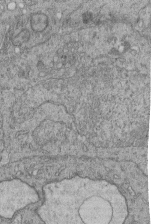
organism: Human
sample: Retinal organoid Rod and Cone cells